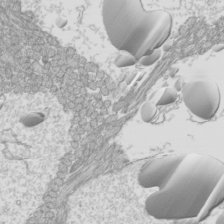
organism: Mouse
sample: Cilia; mouse epididymis